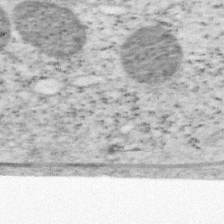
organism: Mouse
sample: OT-I killer T cells with ID8 ovarian cancer cells